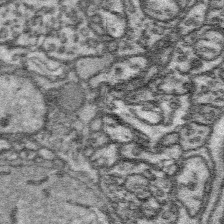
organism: Platynereis dumerilii